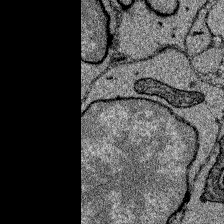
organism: Zebrafish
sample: Larval olfactory bulb